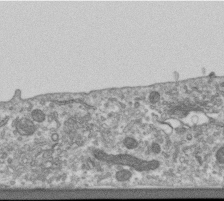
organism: Human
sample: Centriole in RPE cells